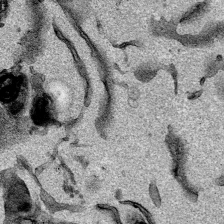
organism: Mouse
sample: Cancer cell death in ED-1 cells